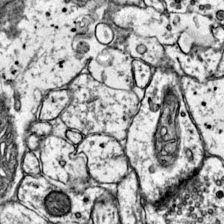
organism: Mouse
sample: Primary visual cortex